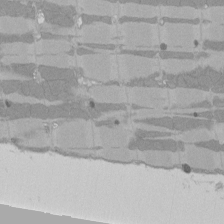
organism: Rat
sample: Left ventricle